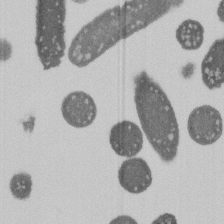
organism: E. coli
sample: Bacterial nucleoid